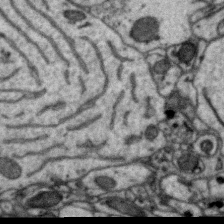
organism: Zebra finch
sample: Brain